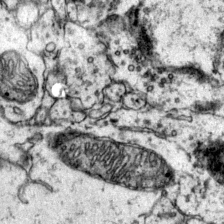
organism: Mouse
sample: Primary visual cortex